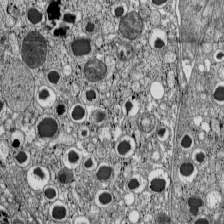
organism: C57BL Mouse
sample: Pancreatic islet